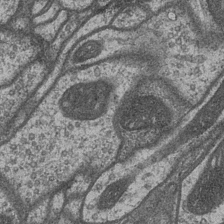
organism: Drosophila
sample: Optic medulla